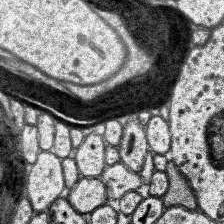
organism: Human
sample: Temporal Lobe